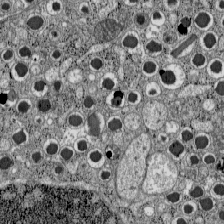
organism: C57BL Mouse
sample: Pancreatic islet